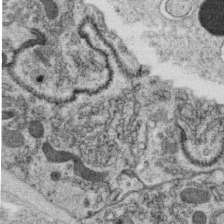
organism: C. elegans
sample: C. elegans oocyte; sperm cells